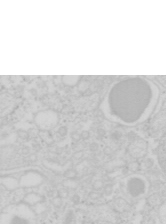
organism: Mouse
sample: Pancreas